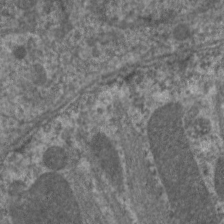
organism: C. elegans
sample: Pharynx